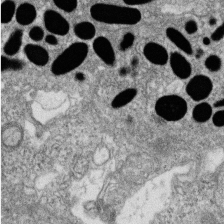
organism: Zebrafish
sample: Cilia; retinal pigment epithelium